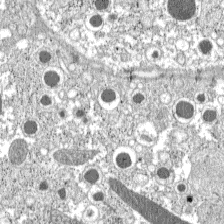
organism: C57BL Mouse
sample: Pancreatic islet